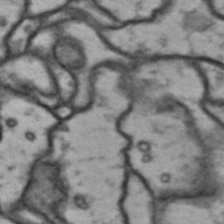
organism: Drosophila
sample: Brain